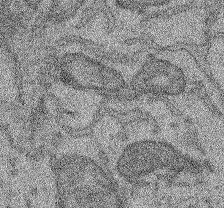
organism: Human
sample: HeLa cells